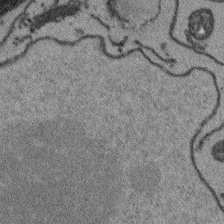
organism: Arabidopsis thaliana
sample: Root tip